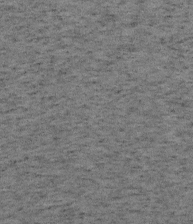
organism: Mouse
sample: OT-I killer T cells with ID8 ovarian cancer cells